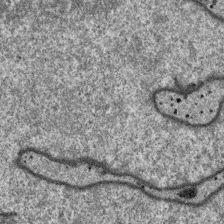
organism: Human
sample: Lung epithelial cells, uninfected (mock) control